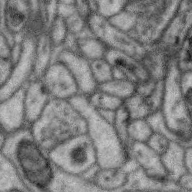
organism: Zebra finch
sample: Brain